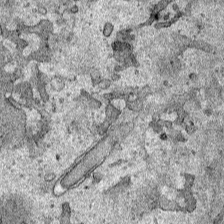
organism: Human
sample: Mitochondria in HCT116 cells